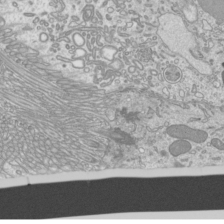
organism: Mouse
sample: Cilia; mouse epididymis